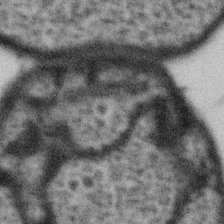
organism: Gemmata obscuriglobus